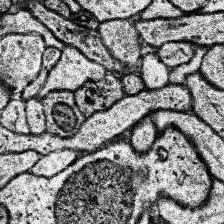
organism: Human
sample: Temporal Lobe